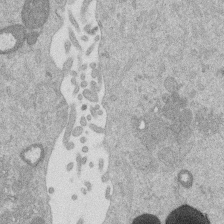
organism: Mouse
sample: Dividing mouse embryo 1 cell stage